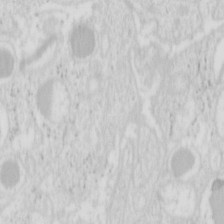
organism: Mouse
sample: Pancreas